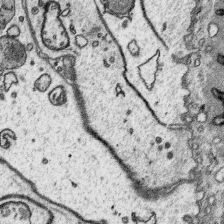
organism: Platynereis dumerilii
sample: Parapodia